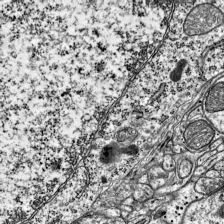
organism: Mouse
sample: Visual Cortex